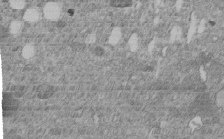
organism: C. elegans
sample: C. elegans embryo early stage